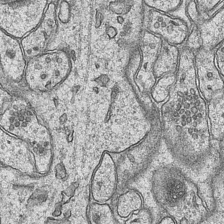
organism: Mouse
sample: CA1 Hippocampus